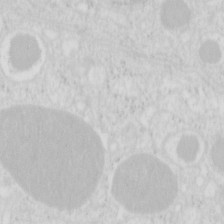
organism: Mouse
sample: Pancreas